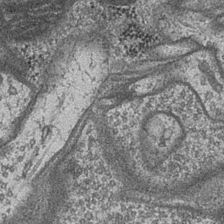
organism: Drosophila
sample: Optic medulla